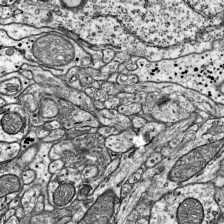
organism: Mouse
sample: Visual Cortex